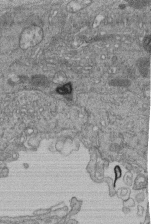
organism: Human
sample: Retinal organoid Rod and Cone cells